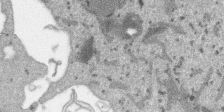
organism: Human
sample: Lung epithelial cells infected with SARS-CoV-2